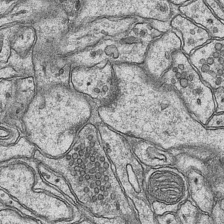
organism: Mouse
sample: CA1 Hippocampus